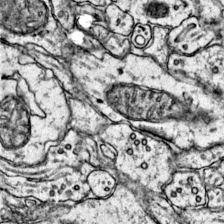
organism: Mouse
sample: Primary visual cortex